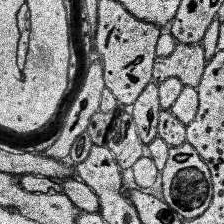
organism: Human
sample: Temporal Lobe